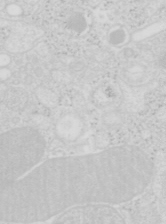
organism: Mouse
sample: Pancreas